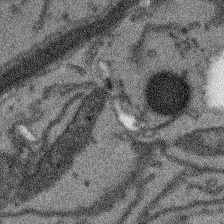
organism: Arabidopsis thaliana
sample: Root tip